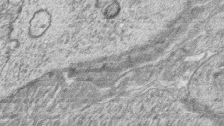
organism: Zebrafish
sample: synaptic ribbons in rod cells and cone cells